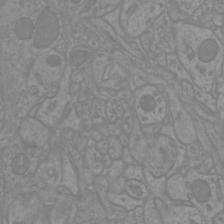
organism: Mouse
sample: Cortical neurons